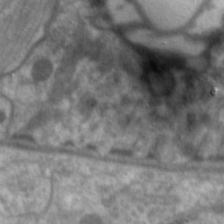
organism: C. elegans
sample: Pharynx